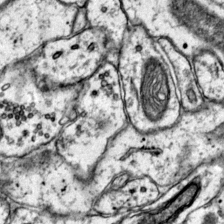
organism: Mouse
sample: Primary visual cortex